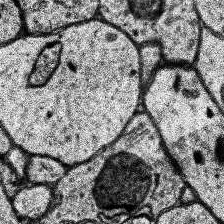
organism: Human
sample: Temporal Lobe